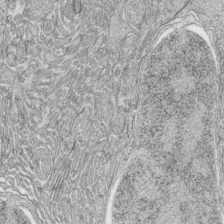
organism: Zebrafish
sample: synaptic ribbons in rod cells and cone cells